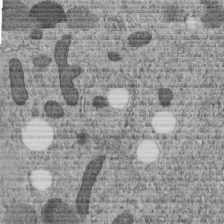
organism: C. elegans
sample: C. elegans embryo early stage